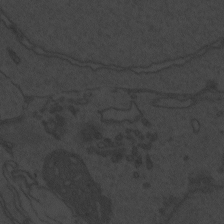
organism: Zebrafish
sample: Macrophage infected with Toxoplasma gondii